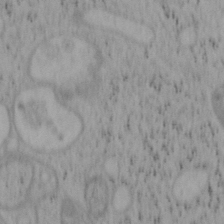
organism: Mouse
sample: OT-I killer T cells with ID8 ovarian cancer cells